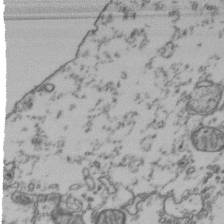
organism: Human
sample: Activated Jurkat CD4+ T cells